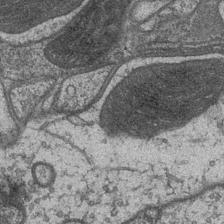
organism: Drosophila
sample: Optic medulla